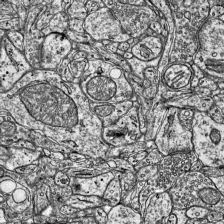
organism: Mouse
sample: Visual Cortex